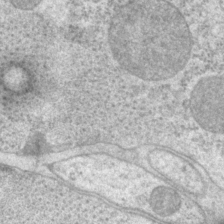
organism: P. pacificus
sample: Pharynx